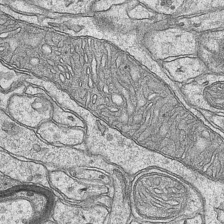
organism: Mouse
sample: CA1 Hippocampus